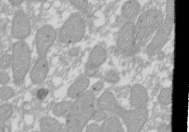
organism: Xenopus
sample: Cilia; centrioles in frog embryo cells